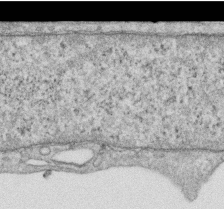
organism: Human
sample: Centriole in RPE cells